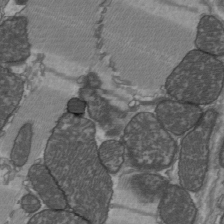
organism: C57BL Mouse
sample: Heart